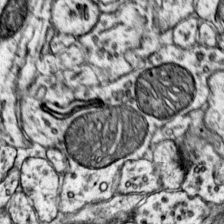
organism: Mouse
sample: Primary visual cortex